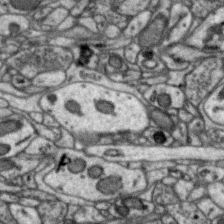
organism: Zebra finch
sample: Brain